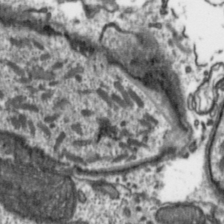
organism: Toxoplasma gondii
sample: Parasites in a vacuole inside a host cell